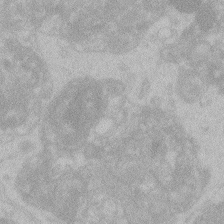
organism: Zebrafish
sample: Macrophage infected with Toxoplasma gondii